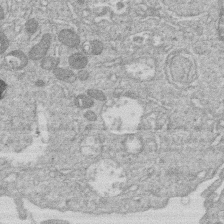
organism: Human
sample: Macrophage cells